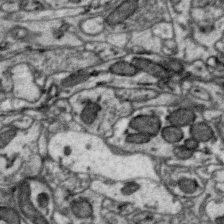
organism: Zebra finch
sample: Brain